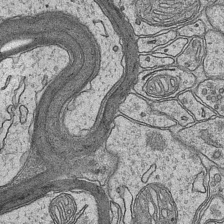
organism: Mouse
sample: CA1 Hippocampus